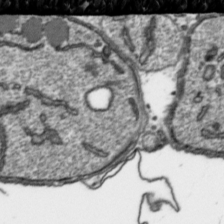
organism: Toxoplasma gondii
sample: Parasites in a vacuole inside a host cell